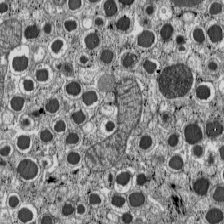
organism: C57BL Mouse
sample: Pancreatic islet